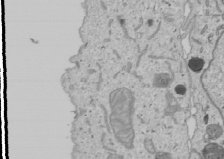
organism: Human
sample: Mitochondria in U2OS cells